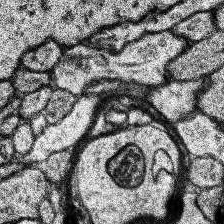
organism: Human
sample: Temporal Lobe